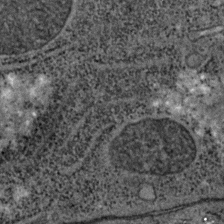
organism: C. elegans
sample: C. elegans embryo